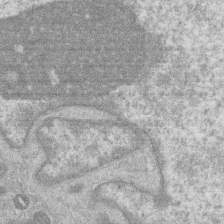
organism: Human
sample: Macrophage cells